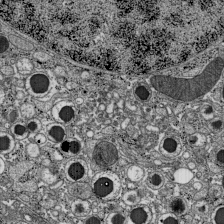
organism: C57BL Mouse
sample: Pancreatic islet